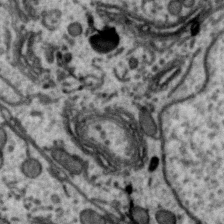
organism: Zebra finch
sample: Brain